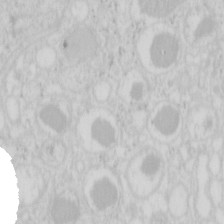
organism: Mouse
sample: Pancreas